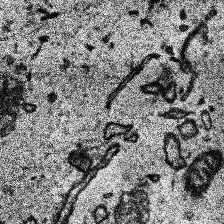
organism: Human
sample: Temporal Lobe